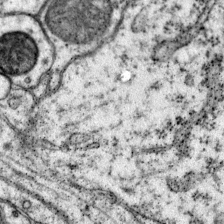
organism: Mouse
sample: Primary visual cortex